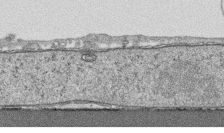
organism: Human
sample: CRL-1474